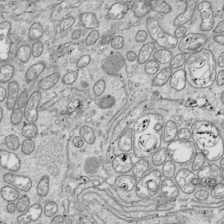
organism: Drosophila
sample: Cell division; meiosis; drosophila spermatocytes